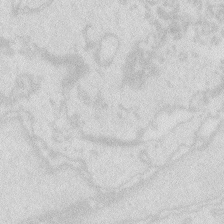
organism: Zebrafish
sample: Macrophage